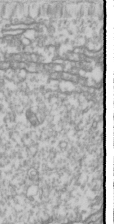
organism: Drosophila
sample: Cell division; meiosis; drosophila spermatocytes